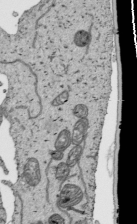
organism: Human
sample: Mitochondria in HCT116 cells